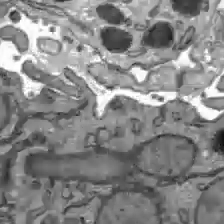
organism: C57BL Mouse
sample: Liver